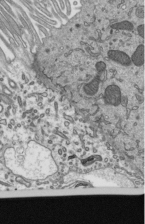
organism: Mouse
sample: Mouse epididymis efferent ductule cilia